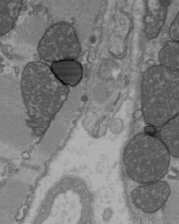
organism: C57BL Mouse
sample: Heart